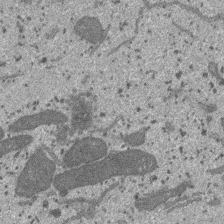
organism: Human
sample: Lung epithelial cells infected with SARS-CoV-2